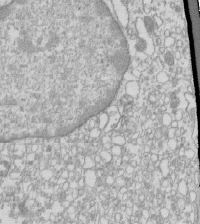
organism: Mouse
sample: Macrophages